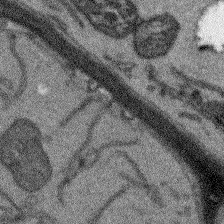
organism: Arabidopsis thaliana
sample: Root tip